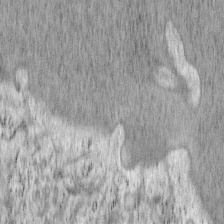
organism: Human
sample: HeLa cells